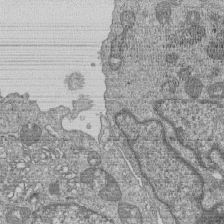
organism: Human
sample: MDA-MB-231 cells